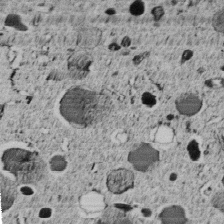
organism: C. elegans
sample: C. elegans embryo early stage